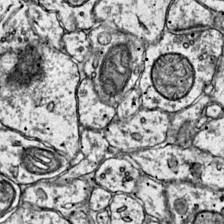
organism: Mouse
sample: Primary visual cortex